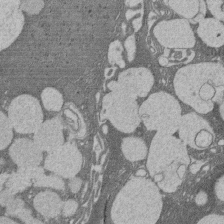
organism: Rat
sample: Salivary granule